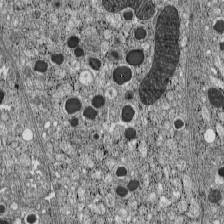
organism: C57BL Mouse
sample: Pancreatic islet